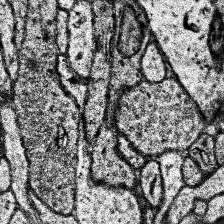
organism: Human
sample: Temporal Lobe